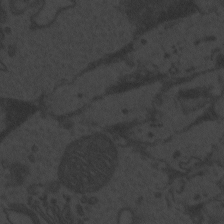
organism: Zebrafish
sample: Macrophage infected with Toxoplasma gondii